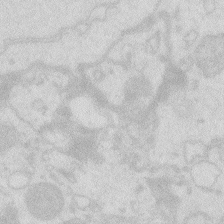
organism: Zebrafish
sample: Macrophage